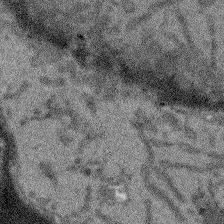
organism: Arabidopsis thaliana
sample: Root tip